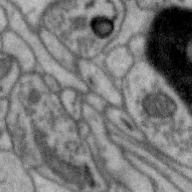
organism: Zebra finch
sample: Brain